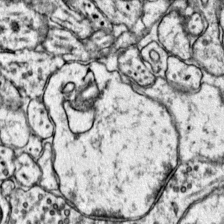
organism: Mouse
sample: Primary visual cortex